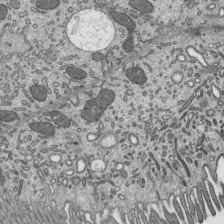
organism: Mouse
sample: Mouse epididymis efferent ductule cilia